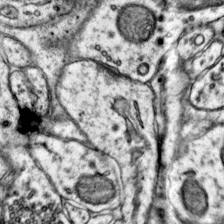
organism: Mouse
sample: Primary visual cortex